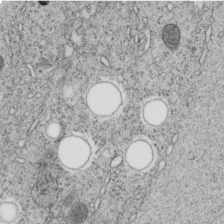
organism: C. elegans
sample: C. elegans embryo early stage